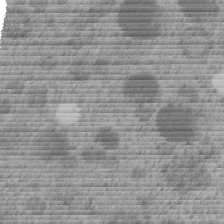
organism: C. elegans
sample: C. elegans embryo early stage